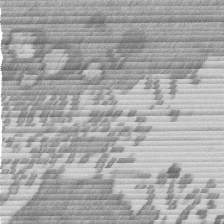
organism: Mouse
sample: Dividing mouse embryo 1 cell stage